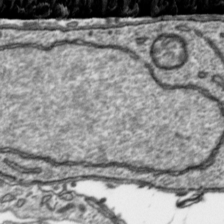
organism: Toxoplasma gondii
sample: Parasites in a vacuole inside a host cell